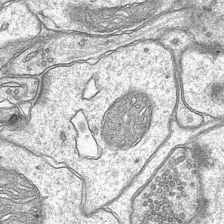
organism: Mouse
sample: CA1 Hippocampus